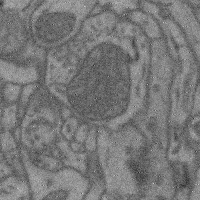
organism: Mouse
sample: Cerebral cortex